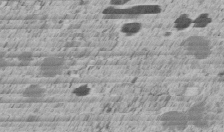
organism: C. elegans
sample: C. elegans embryo early stage